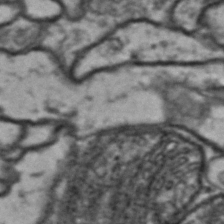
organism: Drosophila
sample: Brain